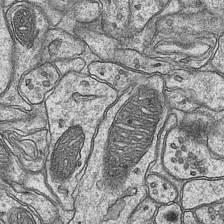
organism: Mouse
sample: CA1 Hippocampus